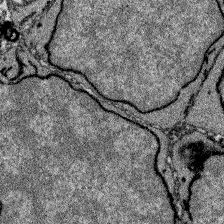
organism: Zebrafish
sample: Larval olfactory bulb